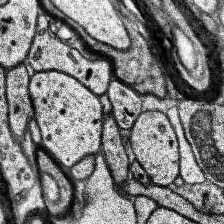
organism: Human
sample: Temporal Lobe